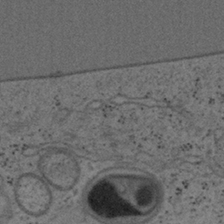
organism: Human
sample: HeLa cells